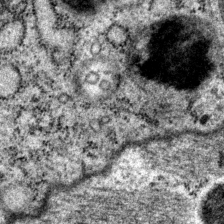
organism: P. pacificus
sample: Pharynx